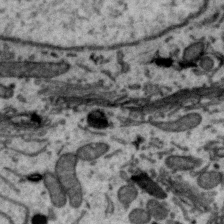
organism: Zebra finch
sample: Brain